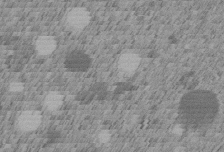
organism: C. elegans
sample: C. elegans embryo early stage